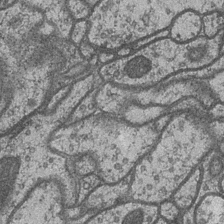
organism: Drosophila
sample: Optic medulla